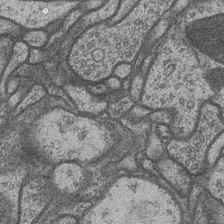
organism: Drosophila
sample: Optic medulla